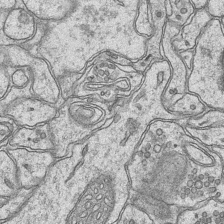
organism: Mouse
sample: CA1 Hippocampus